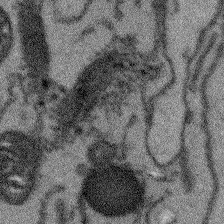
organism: Arabidopsis thaliana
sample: Root tip